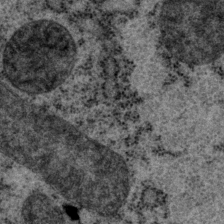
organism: P. pacificus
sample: Pharynx